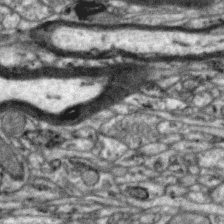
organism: Zebra finch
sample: Brain